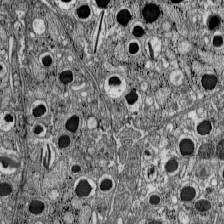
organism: C57BL Mouse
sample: Pancreatic islet